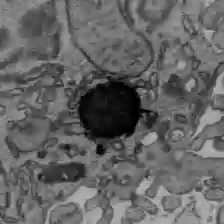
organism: C57BL Mouse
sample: Liver